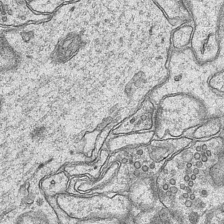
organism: Mouse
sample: CA1 Hippocampus